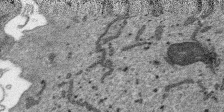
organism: Human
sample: Lung epithelial cells infected with SARS-CoV-2